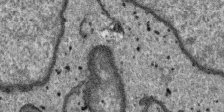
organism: Human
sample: Lung epithelial cells, uninfected (mock) control